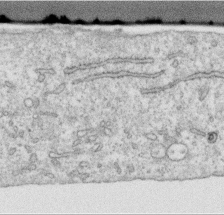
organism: Human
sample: Centriole in RPE cells